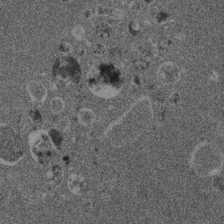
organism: Mouse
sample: Dividing mouse embryo 1 cell stage